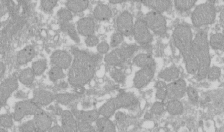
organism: Xenopus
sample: Cilia; centrioles in frog embryo cells